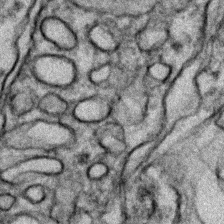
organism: Zebrafish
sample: Zebrafish embryo